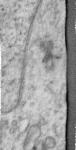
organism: Human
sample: Centriole in RPE cells